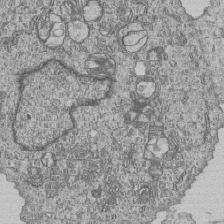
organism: Human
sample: MDA-MB-231 cells